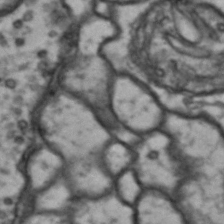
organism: Drosophila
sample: Brain